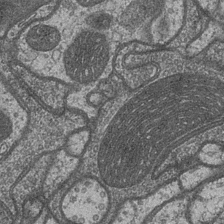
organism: Drosophila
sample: Optic medulla